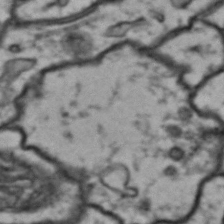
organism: Drosophila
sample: Brain